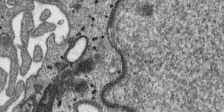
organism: Human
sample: Lung epithelial cells infected with SARS-CoV-2